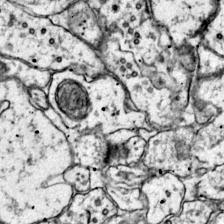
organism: Mouse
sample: Primary visual cortex